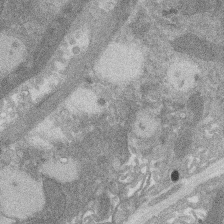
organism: Rat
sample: Salivary granule